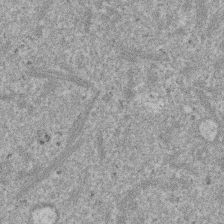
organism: Mouse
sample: Dividing mouse embryo 1 cell stage